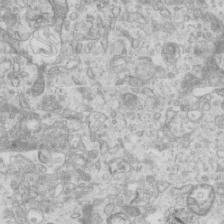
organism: Mouse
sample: Centriole in ependymal cells